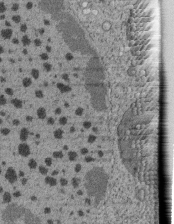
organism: Tetrahymena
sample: Cilia in tetrahymena